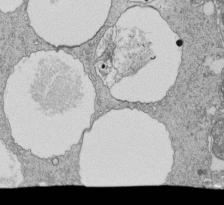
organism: Tetrahymena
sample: Cilia in tetrahymena